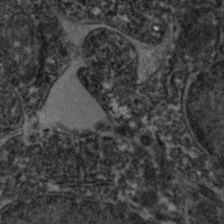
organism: Zebrafish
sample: Zebrafish embryo